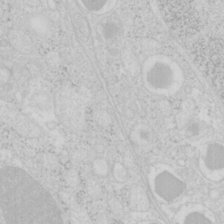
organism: Mouse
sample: Pancreas